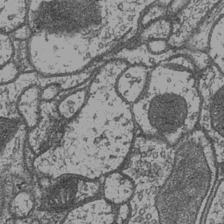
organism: Drosophila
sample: Optic medulla